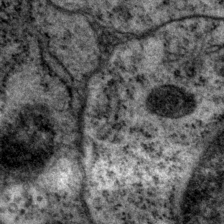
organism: P. pacificus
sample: Pharynx